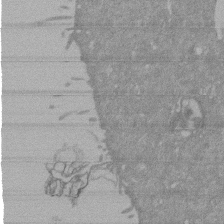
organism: Mouse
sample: ED-1 cell nuclei; centrioles